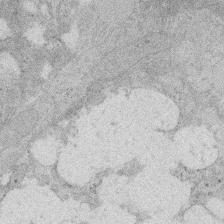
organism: Rat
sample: Salivary granule